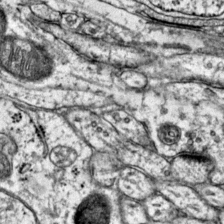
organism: Mouse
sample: Primary visual cortex